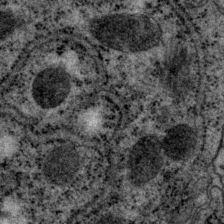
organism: P. pacificus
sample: Pharynx